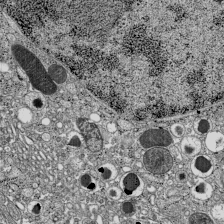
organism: C57BL Mouse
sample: Pancreatic islet